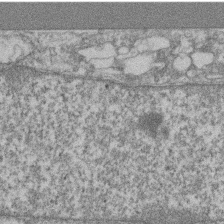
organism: Mouse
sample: T cell stromal cell synapse